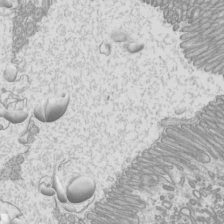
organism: Mouse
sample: Cilia; mouse epididymis